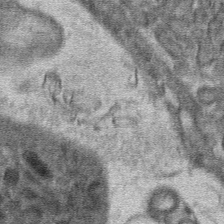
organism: Mouse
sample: Mouse hepatocytes